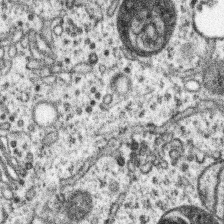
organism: Human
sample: HeLa cells